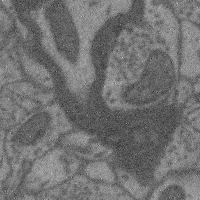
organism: Mouse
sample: Cerebral cortex